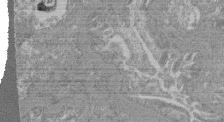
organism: Mouse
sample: Glomerulus